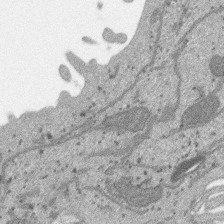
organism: Human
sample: Lung epithelial cells infected with SARS-CoV-2